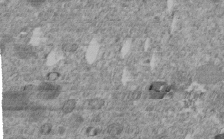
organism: C. elegans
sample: C. elegans embryo early stage